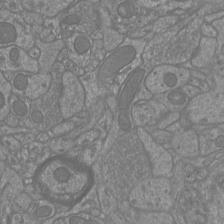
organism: Mouse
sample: Cortical neurons